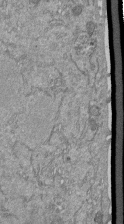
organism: Mouse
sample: ED-1 cell nuclei; centrioles